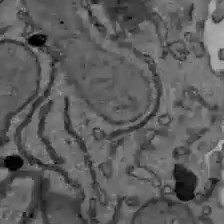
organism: C57BL Mouse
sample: Liver